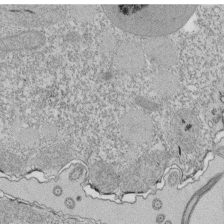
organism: Tetrahymena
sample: Cilia in tetrahymena